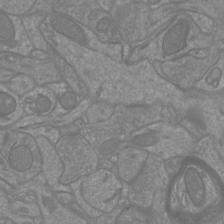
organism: Mouse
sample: Cortical neurons